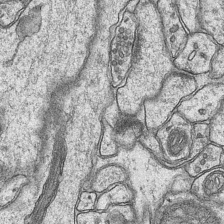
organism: Mouse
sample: CA1 Hippocampus